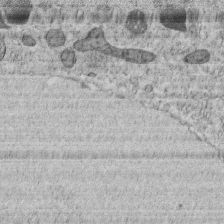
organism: C. elegans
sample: C. elegans embryo early stage